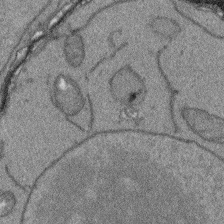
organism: Arabidopsis thaliana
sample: Root tip